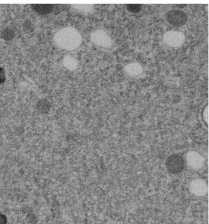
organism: C. elegans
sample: C. elegans embryo early stage